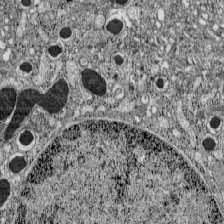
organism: C57BL Mouse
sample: Pancreatic islet